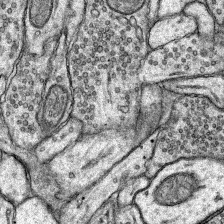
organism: Rat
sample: Hippocampus